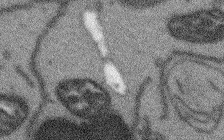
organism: Arabidopsis thaliana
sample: Root tip